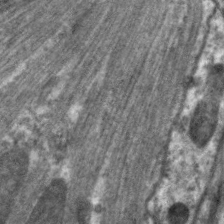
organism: C. elegans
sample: Pharynx